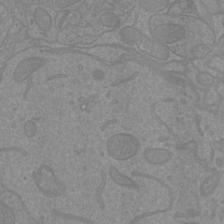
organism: Mouse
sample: Cortical neurons